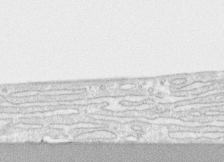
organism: Human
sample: CRL-1474